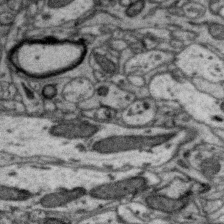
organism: Zebra finch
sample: Brain